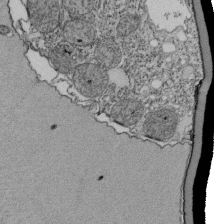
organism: Tetrahymena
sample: Cilia in tetrahymena